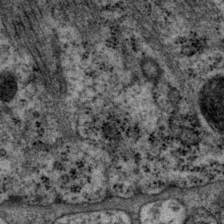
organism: P. pacificus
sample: Pharynx